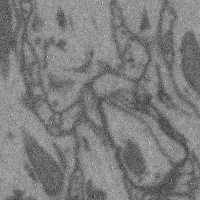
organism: Mouse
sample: Cerebral cortex